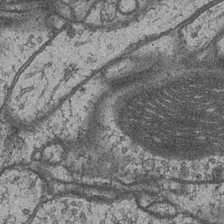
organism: Drosophila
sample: Optic medulla